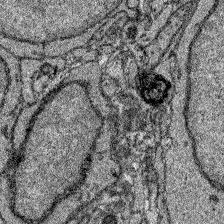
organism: Zebrafish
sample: Larval olfactory bulb